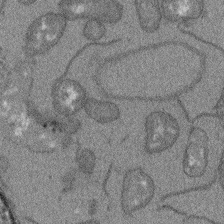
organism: Arabidopsis thaliana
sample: Root tip